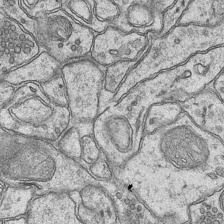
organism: Mouse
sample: CA1 Hippocampus